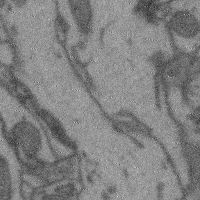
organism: Mouse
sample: Cerebral cortex